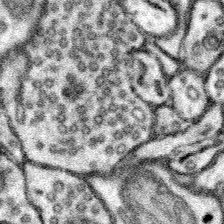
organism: Mouse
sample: Somatosensory cortex neuropil